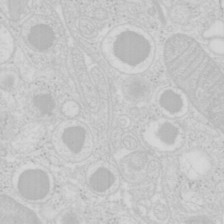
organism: Mouse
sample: Pancreas